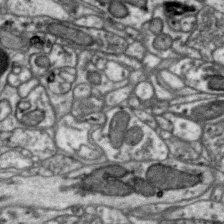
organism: Zebra finch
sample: Brain